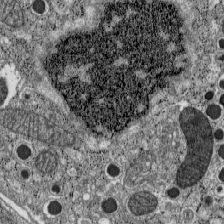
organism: C57BL Mouse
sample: Pancreatic islet